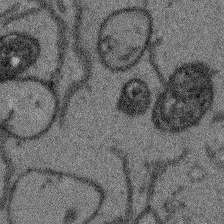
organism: Arabidopsis thaliana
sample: Root tip